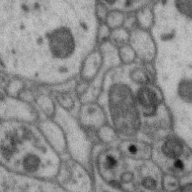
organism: Zebra finch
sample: Brain